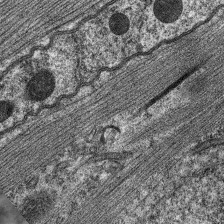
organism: C. elegans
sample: Pharynx